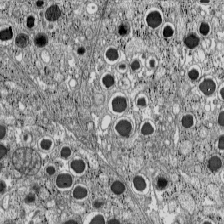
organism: C57BL Mouse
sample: Pancreatic islet